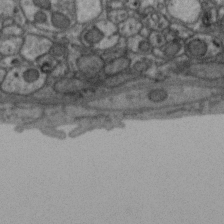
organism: Zebra finch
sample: Brain